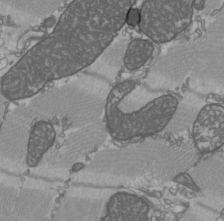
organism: C57BL Mouse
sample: Heart